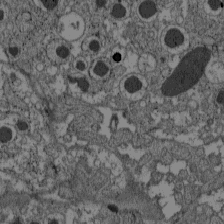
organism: C57BL Mouse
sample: Pancreatic islet